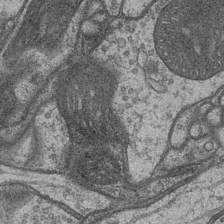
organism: Drosophila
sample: Optic medulla